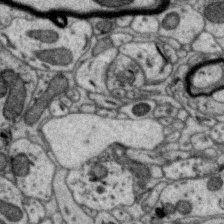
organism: Zebra finch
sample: Brain